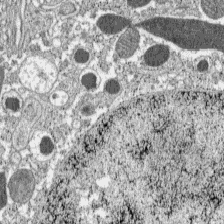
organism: C57BL Mouse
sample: Pancreatic islet